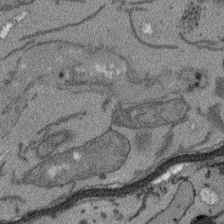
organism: Arabidopsis thaliana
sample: Root tip